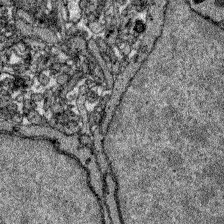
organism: Zebrafish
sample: Larval olfactory bulb